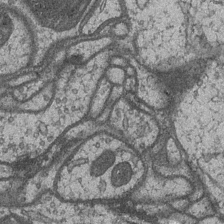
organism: Drosophila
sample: Optic medulla